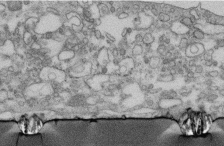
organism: Human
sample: Centriole in fibroblast cells